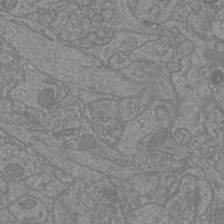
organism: Mouse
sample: Cortical neurons